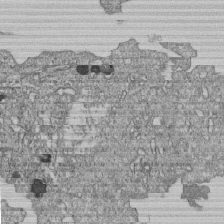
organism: Human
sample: MDA-MB-231 cells